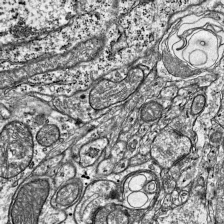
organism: Mouse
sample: Visual Cortex